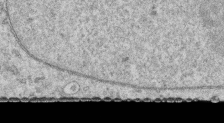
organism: Human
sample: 1205lu cells